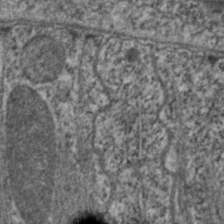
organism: C. elegans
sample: Pharynx